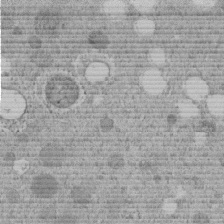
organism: C. elegans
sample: C. elegans embryo early stage